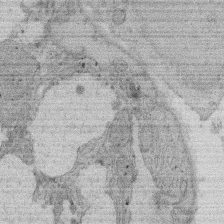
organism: Rat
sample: Salivary granule